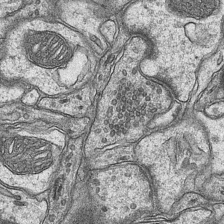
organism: Mouse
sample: CA1 Hippocampus